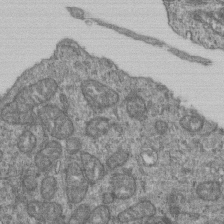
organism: Human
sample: Retinal organoid Rod and Cone cells